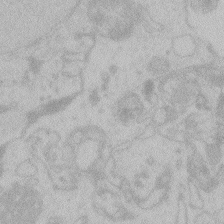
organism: Zebrafish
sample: Macrophage infected with Toxoplasma gondii